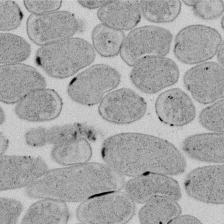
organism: E. coli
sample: Bacterial nucleoid